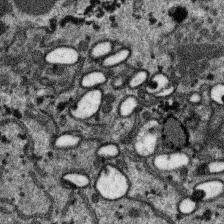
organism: Human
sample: Lung epithelial cells infected with SARS-CoV-2